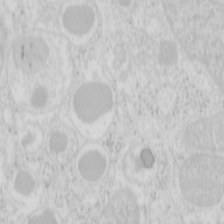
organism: Mouse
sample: Pancreas